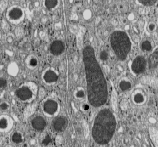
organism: C57BL Mouse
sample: Pancreatic islet